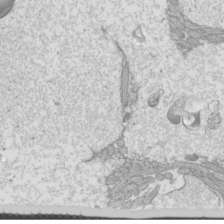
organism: Mouse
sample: Cilia; mouse epididymis